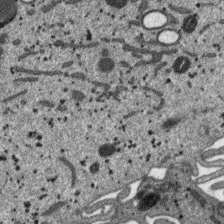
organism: Human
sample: Lung epithelial cells infected with SARS-CoV-2